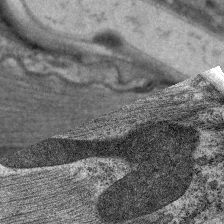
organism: C. elegans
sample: Pharynx